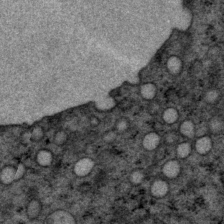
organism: P. pacificus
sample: Pharynx